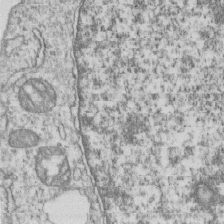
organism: Human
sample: MDA-MB-231 cells